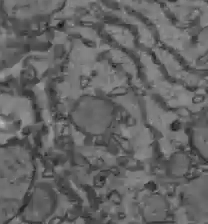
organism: C57BL Mouse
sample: Liver